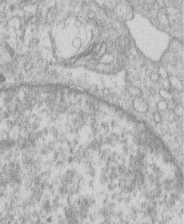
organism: Human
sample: Macrophage cells